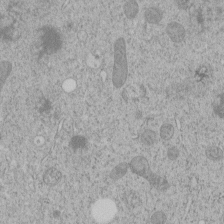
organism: C. elegans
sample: C. elegans embryo early stage